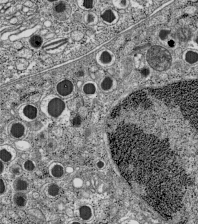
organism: C57BL Mouse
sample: Pancreatic islet